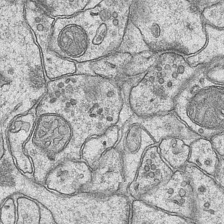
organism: Mouse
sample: CA1 Hippocampus